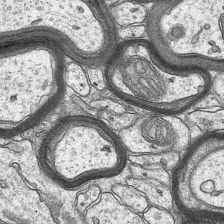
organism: Mouse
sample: CA1 Hippocampus